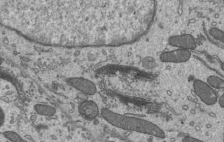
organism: Mouse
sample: Mouse epididymis efferent ductule cilia